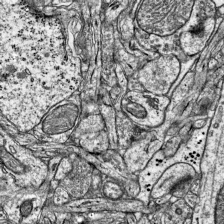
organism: Mouse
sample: Visual Cortex